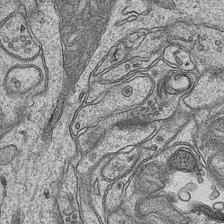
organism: Mouse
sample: CA1 Hippocampus